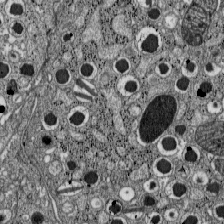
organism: C57BL Mouse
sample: Pancreatic islet